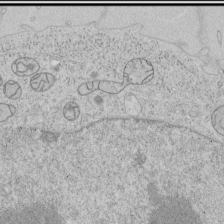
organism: Human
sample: Mitochondria in HCT116 cells